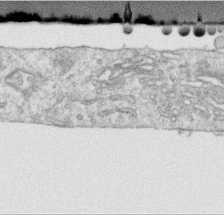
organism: Human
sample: Centriole in RPE cells